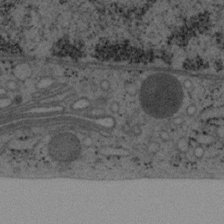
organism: Human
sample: HeLa cells